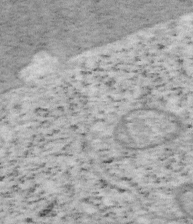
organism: Mouse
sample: OT-I killer T cells with ID8 ovarian cancer cells